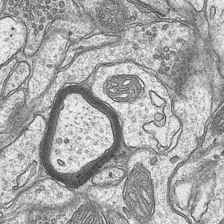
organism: Mouse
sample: CA1 Hippocampus